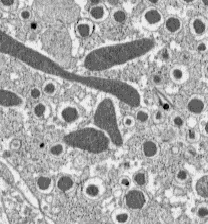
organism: C57BL Mouse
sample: Pancreatic islet